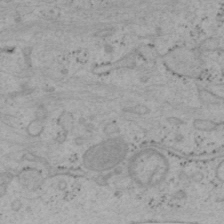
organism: Human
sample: HeLa cells